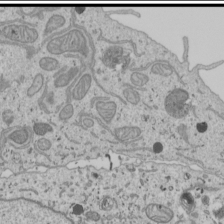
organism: Human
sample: Mitochondria in U2OS cells